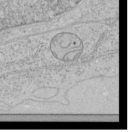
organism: Human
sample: Mitochondria in HCT116 cells